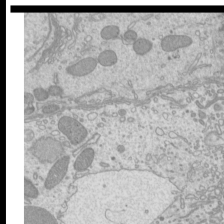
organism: Mouse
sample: Cilia; mouse epididymis